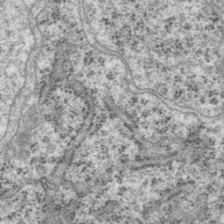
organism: P. pacificus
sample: Pharynx